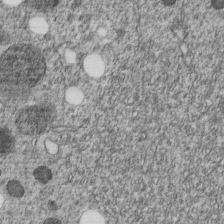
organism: C. elegans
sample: C. elegans embryo early stage